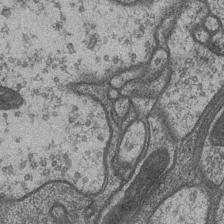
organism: Drosophila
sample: Optic medulla